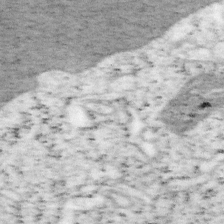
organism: Mouse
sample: OT-I killer T cells with ID8 ovarian cancer cells